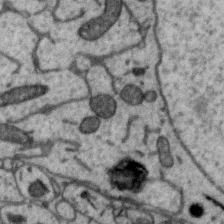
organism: Zebra finch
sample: Brain